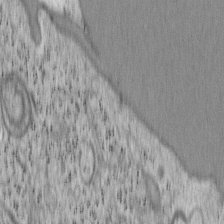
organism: Human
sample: HeLa cells